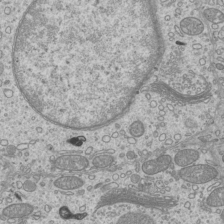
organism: Mouse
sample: Cilia; mouse epididymis